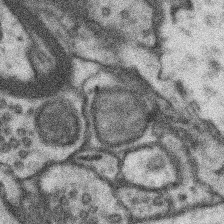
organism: Mouse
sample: Somatosensory cortex neuropil